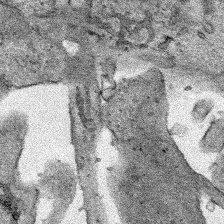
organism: Human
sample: Mitochondria in HCT116 cells